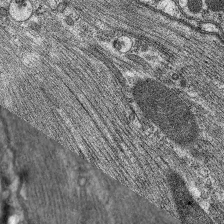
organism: C. elegans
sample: Pharynx